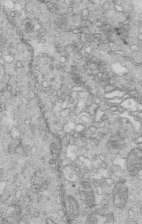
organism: Mouse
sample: Multiciliated cells